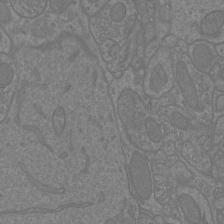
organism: Mouse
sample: Cortical neurons